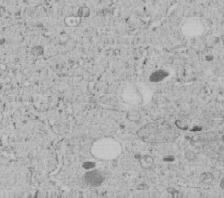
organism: C. elegans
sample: C. elegans embryo early stage